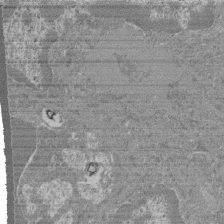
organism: Mouse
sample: Glomerulus